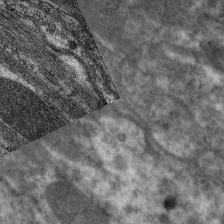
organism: C. elegans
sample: Pharynx